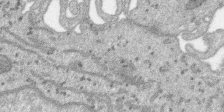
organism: Human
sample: Lung epithelial cells infected with SARS-CoV-2